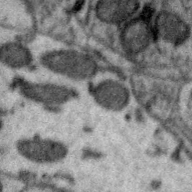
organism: Zebra finch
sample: Brain